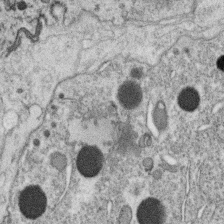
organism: C. elegans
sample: C. elegans oocyte; sperm cells